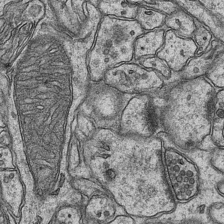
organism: Mouse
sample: CA1 Hippocampus